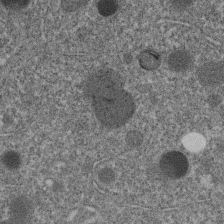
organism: C. elegans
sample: C. elegans embryo early stage